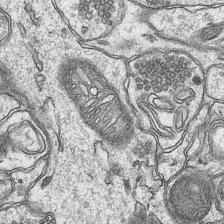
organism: Mouse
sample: CA1 Hippocampus